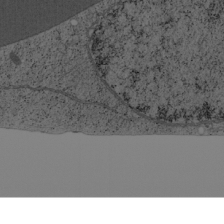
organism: African green monkey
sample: COS-7 cells